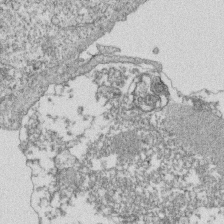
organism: Human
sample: HeLa cell HIV synapse